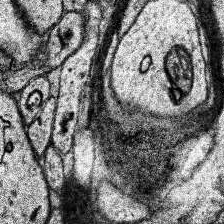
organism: Human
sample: Temporal Lobe